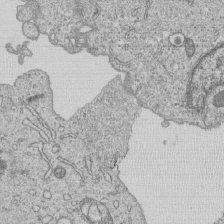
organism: Human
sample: MDA-MB-231 cells